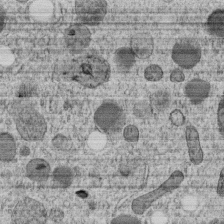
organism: C. elegans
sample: C. elegans embryo early stage